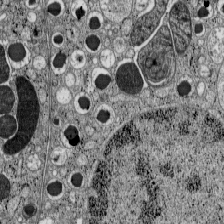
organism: C57BL Mouse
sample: Pancreatic islet